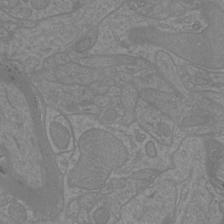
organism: Mouse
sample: Cortical neurons